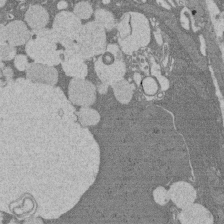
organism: Rat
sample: Salivary granule